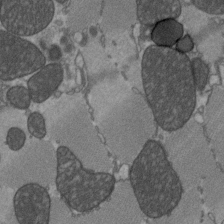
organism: C57BL Mouse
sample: Heart